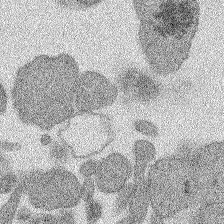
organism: Human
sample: HeLa cells